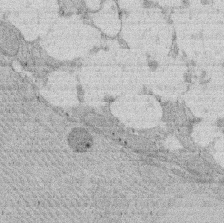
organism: Rat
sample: Salivary granule